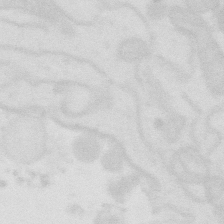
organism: Human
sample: HeLa cells